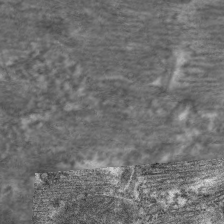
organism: C. elegans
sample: Pharynx